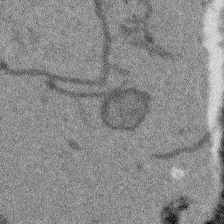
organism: Arabidopsis thaliana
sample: Root tip